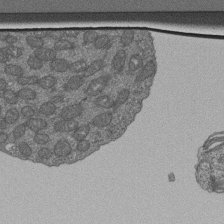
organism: Human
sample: Retinal organoid Rod and Cone cells